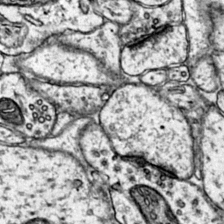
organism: Mouse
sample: Primary visual cortex